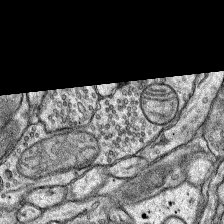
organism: Rat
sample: Hippocampus